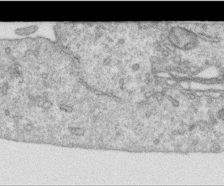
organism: Human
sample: Centriole in RPE cells